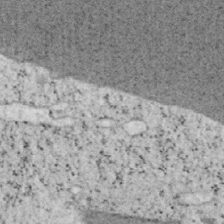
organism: Mouse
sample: OT-I killer T cells with ID8 ovarian cancer cells